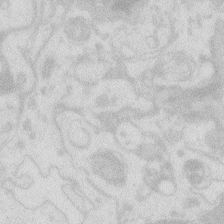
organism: Zebrafish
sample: Macrophage